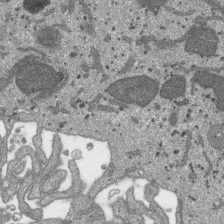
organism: Human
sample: Lung epithelial cells infected with SARS-CoV-2